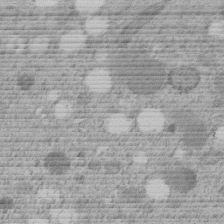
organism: C. elegans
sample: C. elegans embryo early stage